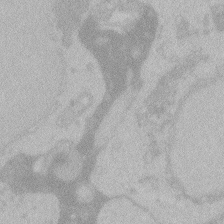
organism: Zebrafish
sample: Macrophage infected with Toxoplasma gondii